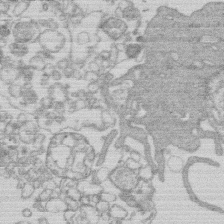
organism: Human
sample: Macrophage cells